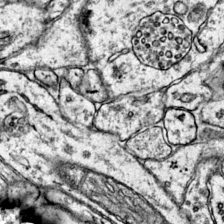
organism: Mouse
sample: Primary visual cortex